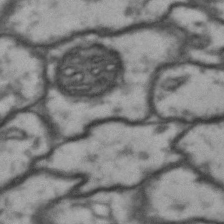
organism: Drosophila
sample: Brain